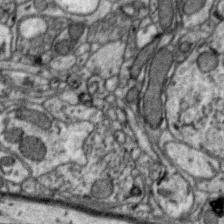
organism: Zebra finch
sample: Brain